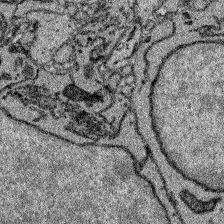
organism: Zebrafish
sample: Larval olfactory bulb